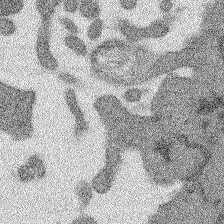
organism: Human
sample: HeLa cells